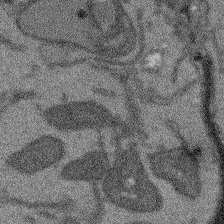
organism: Arabidopsis thaliana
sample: Root tip